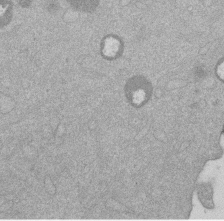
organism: Mouse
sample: Dividing mouse embryo 1 cell stage